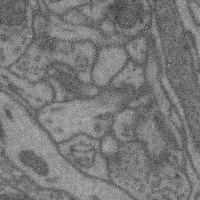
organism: Mouse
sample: Cerebral cortex